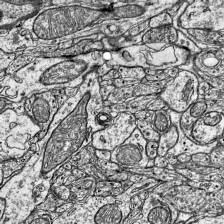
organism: Mouse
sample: Visual Cortex